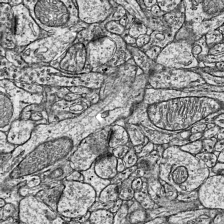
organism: Mouse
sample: Visual Cortex